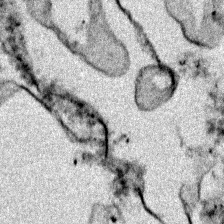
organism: Zebrafish